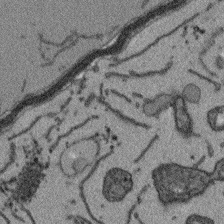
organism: Arabidopsis thaliana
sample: Root tip